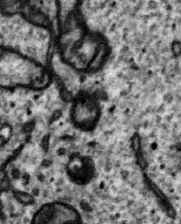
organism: Human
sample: HeLa cells